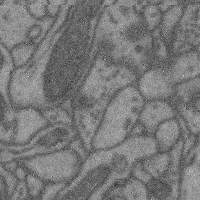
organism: Mouse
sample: Cerebral cortex